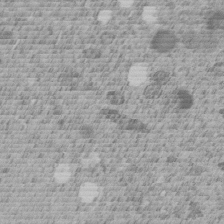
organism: C. elegans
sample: C. elegans embryo early stage